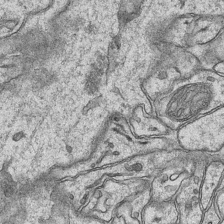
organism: Mouse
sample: CA1 Hippocampus